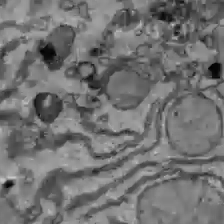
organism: C57BL Mouse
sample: Liver